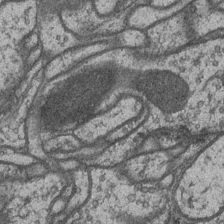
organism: Drosophila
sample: Optic medulla